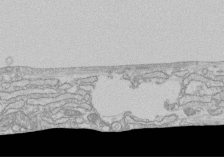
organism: Human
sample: CRL-1474